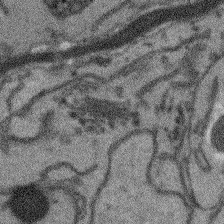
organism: Arabidopsis thaliana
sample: Root tip